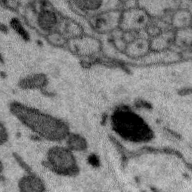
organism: Zebra finch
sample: Brain